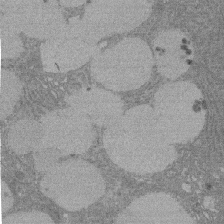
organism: Rat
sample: Salivary granule